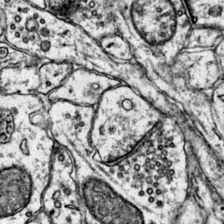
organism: Mouse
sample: Primary visual cortex